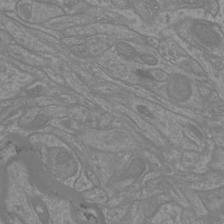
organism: Mouse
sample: Cortical neurons